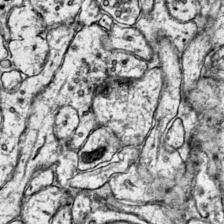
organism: Mouse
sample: Primary visual cortex